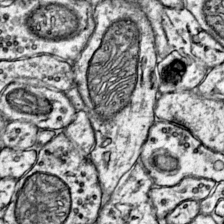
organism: Mouse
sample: Primary visual cortex